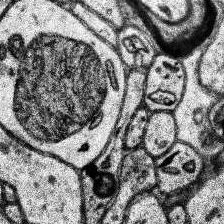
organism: Human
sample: Temporal Lobe